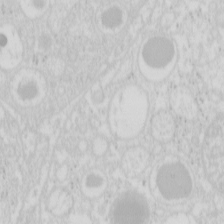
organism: Mouse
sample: Pancreas